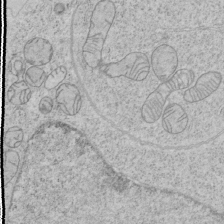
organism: Human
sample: Mitochondria in HCT116 cells